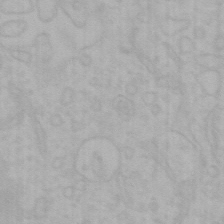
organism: Mouse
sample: Choroid plexus